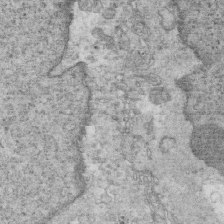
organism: Mouse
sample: Multiciliated cells